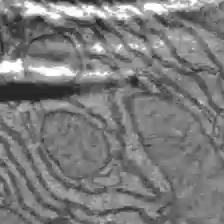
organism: C57BL Mouse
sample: Liver